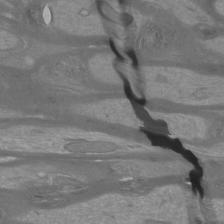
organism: Mouse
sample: Cortical neurons